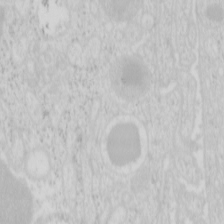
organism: Mouse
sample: Pancreas